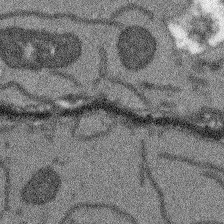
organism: Arabidopsis thaliana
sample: Root tip